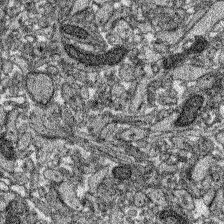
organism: Zebrafish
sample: Larval olfactory bulb